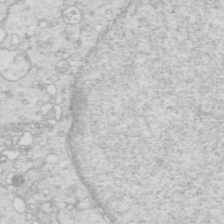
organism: Mouse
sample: Multiciliated cells